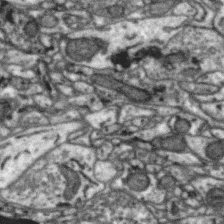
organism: Zebra finch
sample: Brain